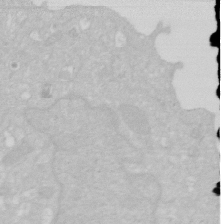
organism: Human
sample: HIV infected U937 cells